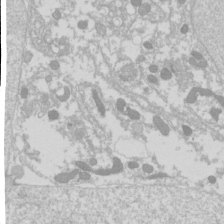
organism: Drosophila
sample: Cell division; meiosis; drosophila spermatocytes